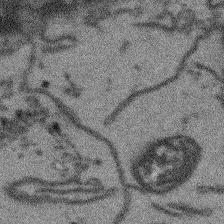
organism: Arabidopsis thaliana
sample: Root tip